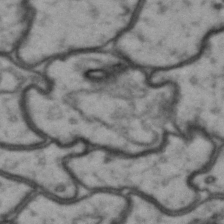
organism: Drosophila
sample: Brain